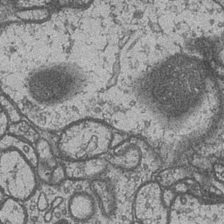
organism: Drosophila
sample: Optic medulla